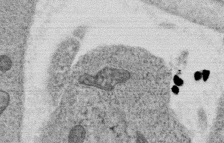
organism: C. elegans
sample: C. elegans oocyte; sperm cells